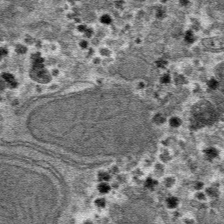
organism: Mouse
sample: Mouse hepatocytes